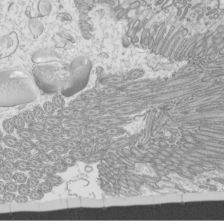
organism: Mouse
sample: Cilia; mouse epididymis